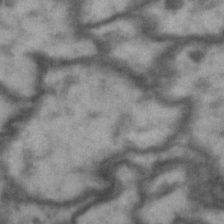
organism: Drosophila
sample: Brain